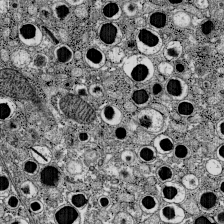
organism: C57BL Mouse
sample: Pancreatic islet